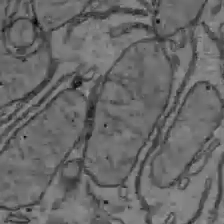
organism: C57BL Mouse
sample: Liver